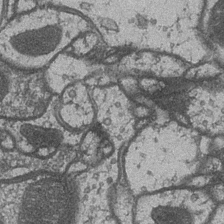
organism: Drosophila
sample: Optic medulla